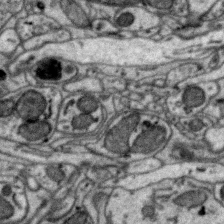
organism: Zebra finch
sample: Brain